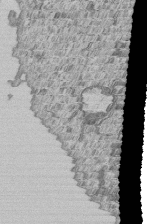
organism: Human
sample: MDA-MB-231 cells